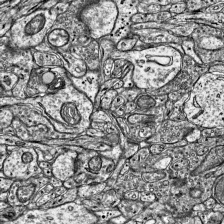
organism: Mouse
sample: Visual Cortex